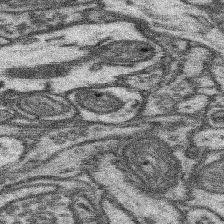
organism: Mouse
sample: Somatosensory cortex neuropil